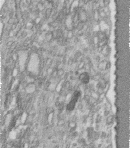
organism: Human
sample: Centriole in fibroblast cells